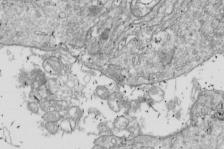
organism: Drosophila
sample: Cell division; meiosis; drosophila spermatocytes